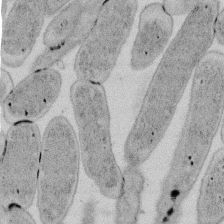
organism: E. coli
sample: Bacterial nucleoid